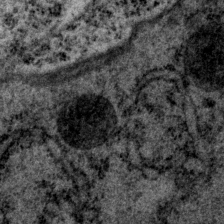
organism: P. pacificus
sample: Pharynx